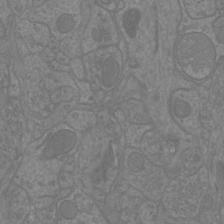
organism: Mouse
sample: Cortical neurons